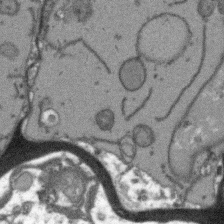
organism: Arabidopsis thaliana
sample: Root tip